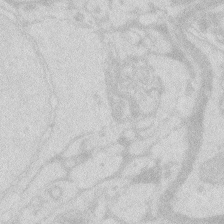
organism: Zebrafish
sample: Macrophage